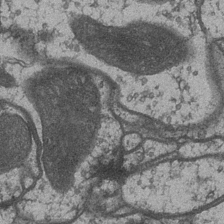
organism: Drosophila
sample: Optic medulla